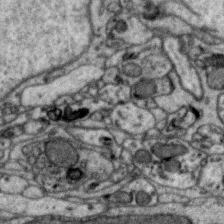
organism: Zebra finch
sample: Brain